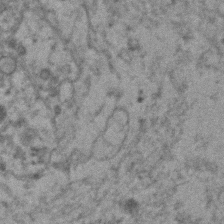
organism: Human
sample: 1205lu cells